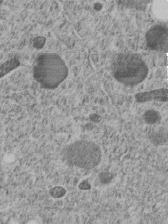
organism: C. elegans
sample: C. elegans embryo early stage